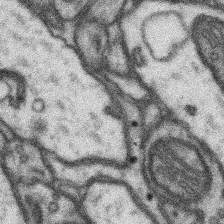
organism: Mouse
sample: Somatosensory cortex neuropil